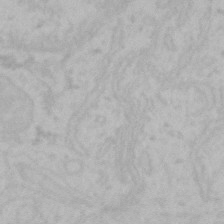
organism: Mouse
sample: Choroid plexus